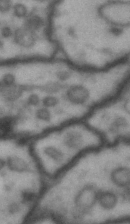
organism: Drosophila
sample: Brain